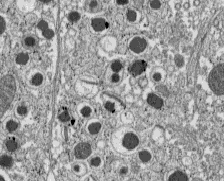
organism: C57BL Mouse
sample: Pancreatic islet